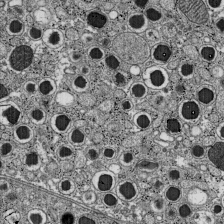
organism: C57BL Mouse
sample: Pancreatic islet